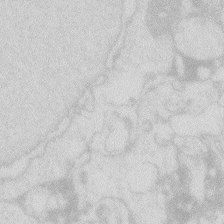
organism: Zebrafish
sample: Macrophage